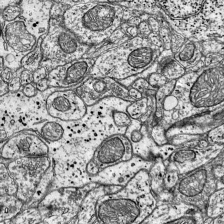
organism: Mouse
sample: Visual Cortex